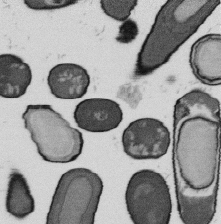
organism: B. subtilis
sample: Bacterial spore